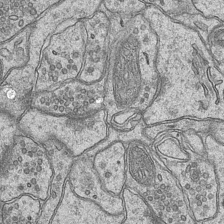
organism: Mouse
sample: CA1 Hippocampus